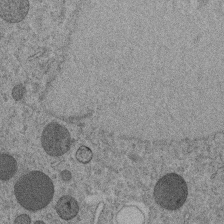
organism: C. elegans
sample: C. elegans embryo early stage